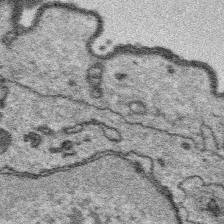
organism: Platynereis dumerilii